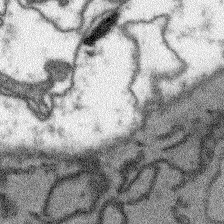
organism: Arabidopsis thaliana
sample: Root tip